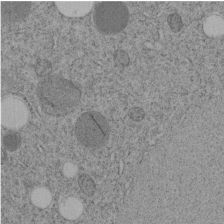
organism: C. elegans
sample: C. elegans embryo early stage